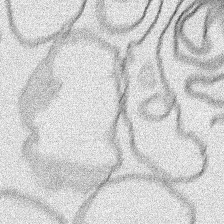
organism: Human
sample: Mitochondria in HCT116 cells